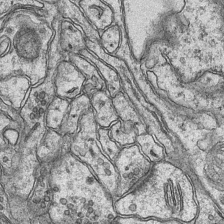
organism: Mouse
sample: CA1 Hippocampus